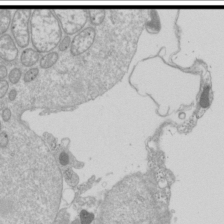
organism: Drosophila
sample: Cell division; meiosis; drosophila spermatocytes